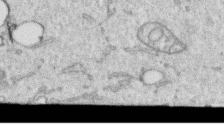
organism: Human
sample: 1205lu cells